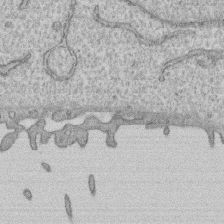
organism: Human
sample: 1205lu cells